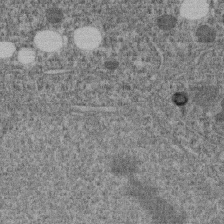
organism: C. elegans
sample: C. elegans embryo early stage